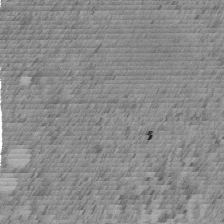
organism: C. elegans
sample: C. elegans embryo early stage